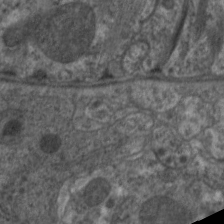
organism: C. elegans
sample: Pharynx